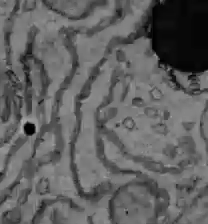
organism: C57BL Mouse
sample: Liver